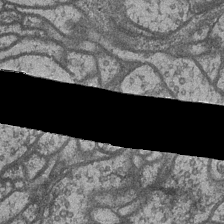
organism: Drosophila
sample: Optic medulla